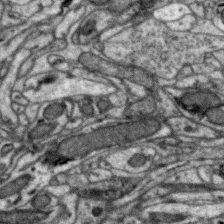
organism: Zebra finch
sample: Brain